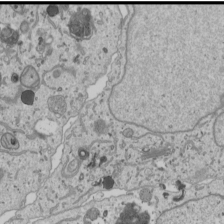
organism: Human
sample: Mitochondria in U2OS cells